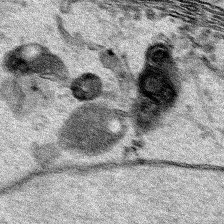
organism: Human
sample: Mitochondria in HCT116 cells